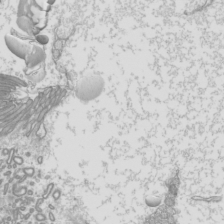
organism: Mouse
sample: Cilia; mouse epididymis